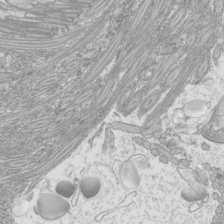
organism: Mouse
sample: Cilia; mouse epididymis